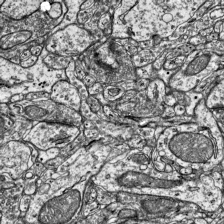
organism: Mouse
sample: Visual Cortex